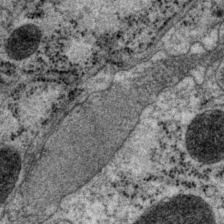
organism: P. pacificus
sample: Pharynx